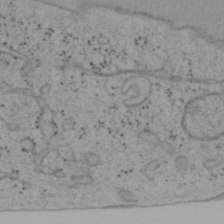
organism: Human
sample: HeLa cells